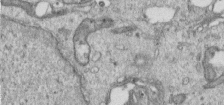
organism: Human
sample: Centriole in RPE cells